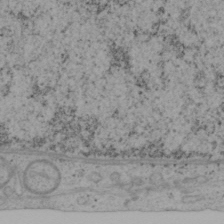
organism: Human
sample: HeLa cells